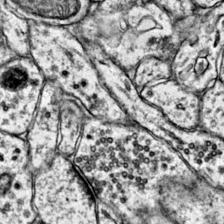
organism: Mouse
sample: Primary visual cortex